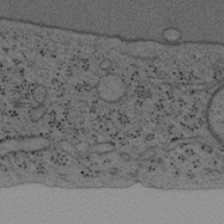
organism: Human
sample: HeLa cells